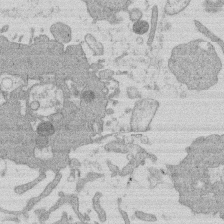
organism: Human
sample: Macrophage cells